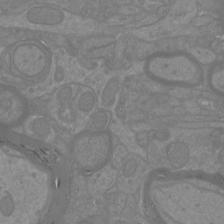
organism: Mouse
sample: Cortical neurons